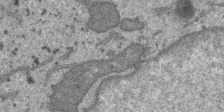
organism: Human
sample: Lung epithelial cells infected with SARS-CoV-2